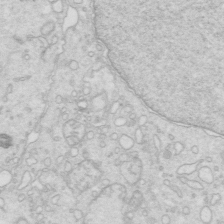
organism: Mouse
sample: Multiciliated cells